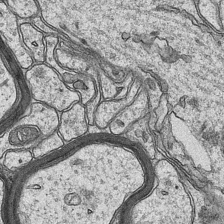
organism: Mouse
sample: CA1 Hippocampus